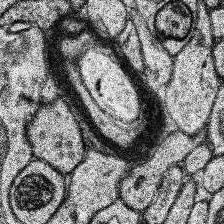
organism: Human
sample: Temporal Lobe